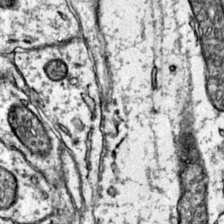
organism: Mouse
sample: Primary visual cortex